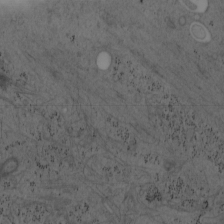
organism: Mouse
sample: OT-I killer T cells with ID8 ovarian cancer cells